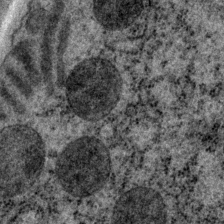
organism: P. pacificus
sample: Pharynx